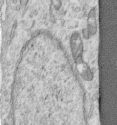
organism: Human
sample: Centriole in RPE cells